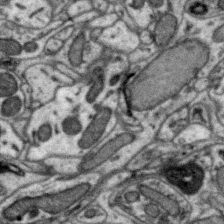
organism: Zebra finch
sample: Brain